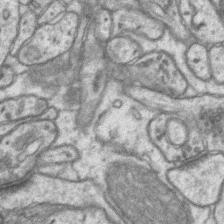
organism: Mouse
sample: CA1 Hippocampus